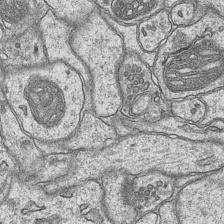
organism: Mouse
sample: CA1 Hippocampus